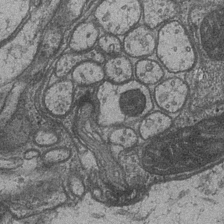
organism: Drosophila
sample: Optic medulla